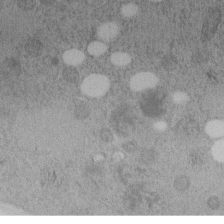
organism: C. elegans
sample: C. elegans embryo early stage